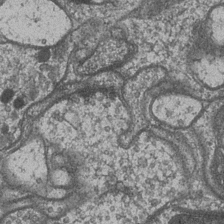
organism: Drosophila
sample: Optic medulla